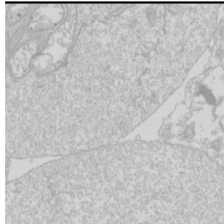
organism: Drosophila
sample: Cell division; meiosis; drosophila spermatocytes